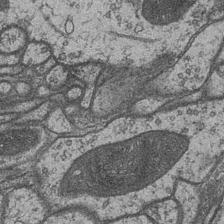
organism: Drosophila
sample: Optic medulla